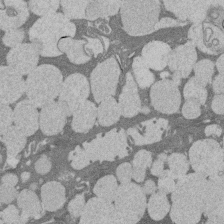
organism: Rat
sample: Salivary granule